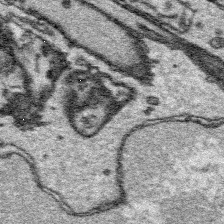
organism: Platynereis dumerilii